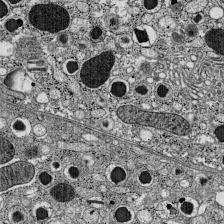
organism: C57BL Mouse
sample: Pancreatic islet